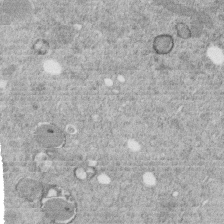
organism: C. elegans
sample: C. elegans embryo early stage